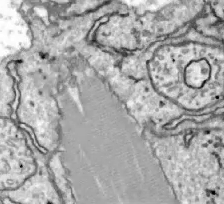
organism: Zebrafish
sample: Actinotrichia fibers